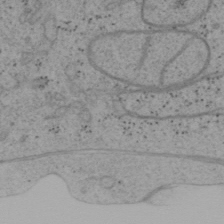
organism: Human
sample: HeLa cells